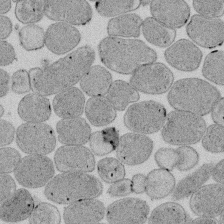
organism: E. coli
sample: Bacterial nucleoid